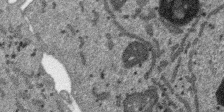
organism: Human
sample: Lung epithelial cells infected with SARS-CoV-2